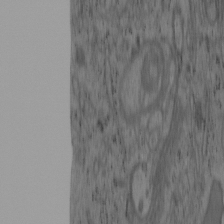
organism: Human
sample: HeLa cells